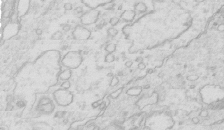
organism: Mouse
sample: Multiciliated cells